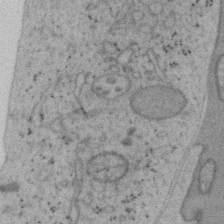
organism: Human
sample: HeLa cells